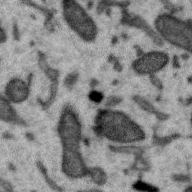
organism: Zebra finch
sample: Brain